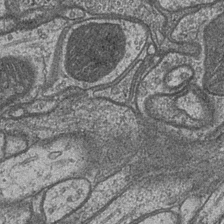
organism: Drosophila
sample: Optic medulla